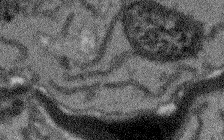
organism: Arabidopsis thaliana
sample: Root tip